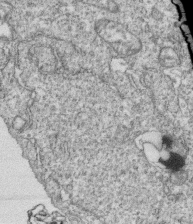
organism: Human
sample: HeLa cell HIV synapse